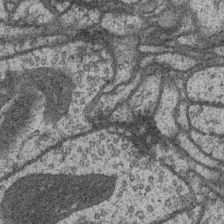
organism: Drosophila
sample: Optic medulla